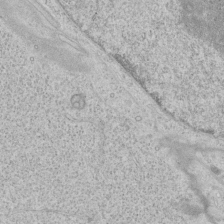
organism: Human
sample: Mitochondria in HCT116 cells